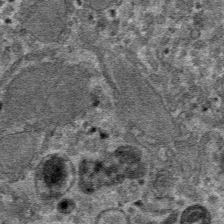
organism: Mouse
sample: Mouse hepatocytes